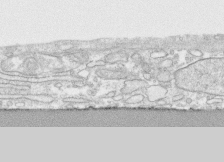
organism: Human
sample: CRL-1474